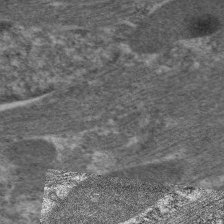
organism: C. elegans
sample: Pharynx